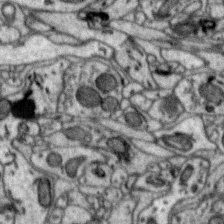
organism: Zebra finch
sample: Brain